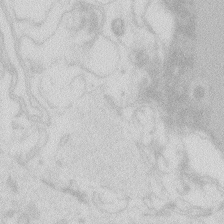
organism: Zebrafish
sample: Macrophage